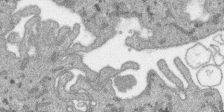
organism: Human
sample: Lung epithelial cells infected with SARS-CoV-2